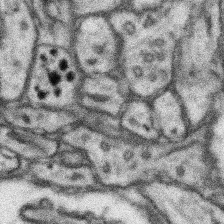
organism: Mouse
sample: Somatosensory cortex neuropil